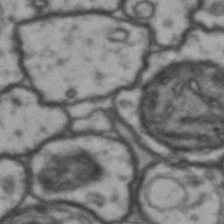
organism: Drosophila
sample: Brain